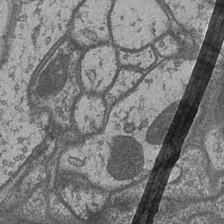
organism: Drosophila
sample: Optic medulla